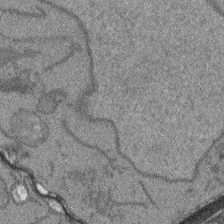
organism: Arabidopsis thaliana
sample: Root tip